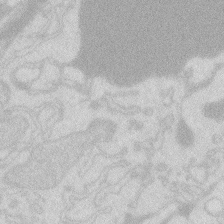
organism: Zebrafish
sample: Macrophage